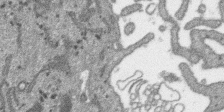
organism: Human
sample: Lung epithelial cells infected with SARS-CoV-2